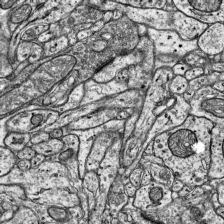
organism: Mouse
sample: Visual Cortex